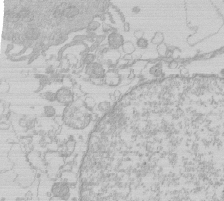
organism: Human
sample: Macrophage cells